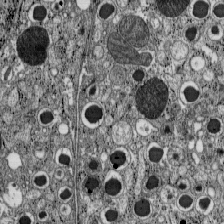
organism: C57BL Mouse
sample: Pancreatic islet